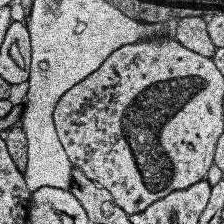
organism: Human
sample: Temporal Lobe